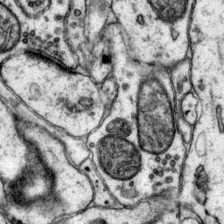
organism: Mouse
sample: Primary visual cortex